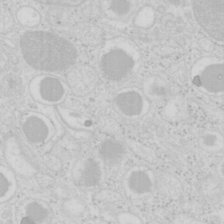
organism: Mouse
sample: Pancreas